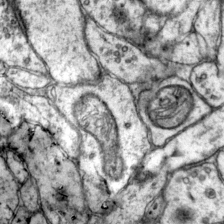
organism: Mouse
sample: Primary visual cortex